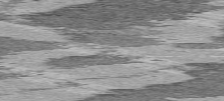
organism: C57BL Mouse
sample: Heart